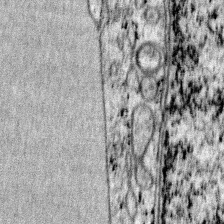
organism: Human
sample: HeLa cells